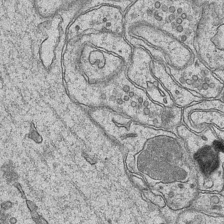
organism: Mouse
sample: CA1 Hippocampus